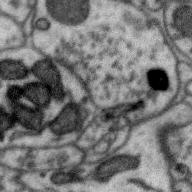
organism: Zebra finch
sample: Brain